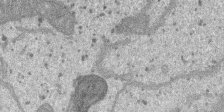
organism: Human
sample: Lung epithelial cells infected with SARS-CoV-2